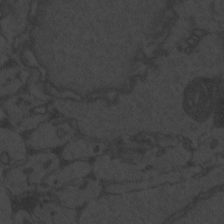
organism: Zebrafish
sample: Macrophage infected with Toxoplasma gondii